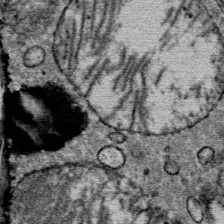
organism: Mouse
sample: Mouse Salivary gland